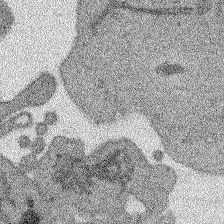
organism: Human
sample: HeLa cells